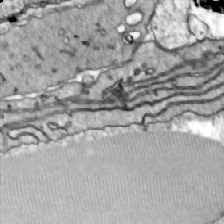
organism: Zebrafish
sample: Actinotrichia fibers